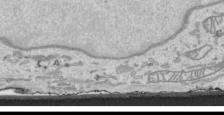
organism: Human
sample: Mitochondria in HCT116 cells